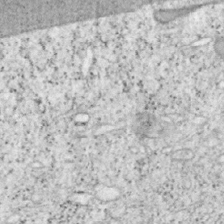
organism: Mouse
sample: OT-I killer T cells with ID8 ovarian cancer cells